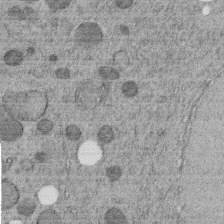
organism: C. elegans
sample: C. elegans embryo early stage